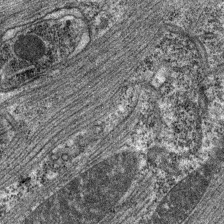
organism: C. elegans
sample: Pharynx